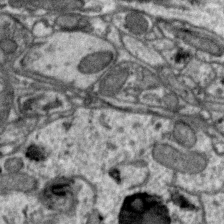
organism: Zebra finch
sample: Brain